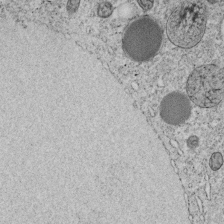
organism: C. elegans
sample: C. elegans embryo early stage